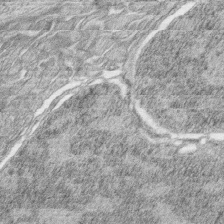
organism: Zebrafish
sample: synaptic ribbons in rod cells and cone cells